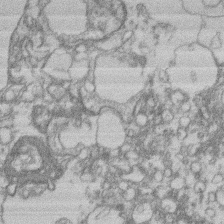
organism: Mouse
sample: T cell stromal cell synapse